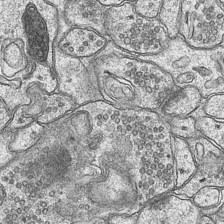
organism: Mouse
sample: CA1 Hippocampus